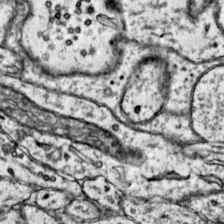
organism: Mouse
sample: Primary visual cortex